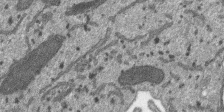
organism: Human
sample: Lung epithelial cells infected with SARS-CoV-2